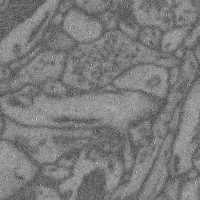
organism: Mouse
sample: Cerebral cortex